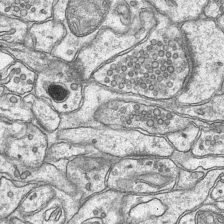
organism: Mouse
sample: CA1 Hippocampus